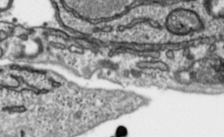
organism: Toxoplasma gondii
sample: Parasites in a vacuole inside a host cell